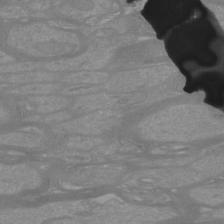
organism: Mouse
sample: Cortical neurons